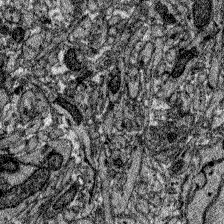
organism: Zebrafish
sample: Larval olfactory bulb